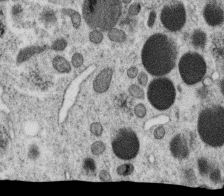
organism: C. elegans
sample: C. elegans oocyte; sperm cells